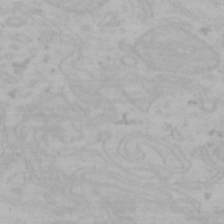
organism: Mouse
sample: Choroid plexus